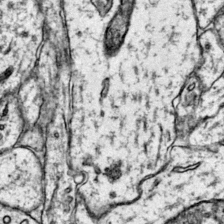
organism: Mouse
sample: Primary visual cortex